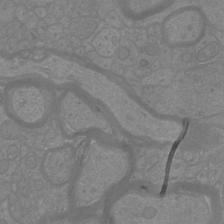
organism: Mouse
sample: Cortical neurons